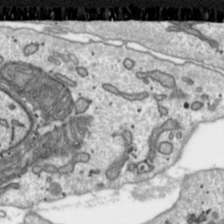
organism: Toxoplasma gondii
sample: Parasites in a vacuole inside a host cell